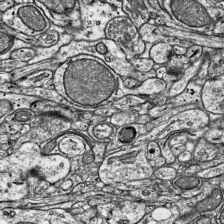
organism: Mouse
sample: Visual Cortex